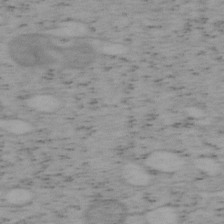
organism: Mouse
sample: OT-I killer T cells with ID8 ovarian cancer cells